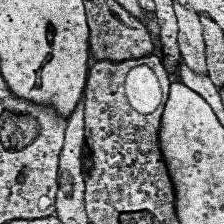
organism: Human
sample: Temporal Lobe